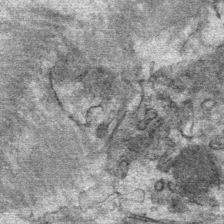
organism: Mouse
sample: Mouse Salivary gland